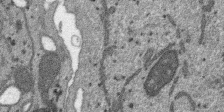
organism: Human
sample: Lung epithelial cells infected with SARS-CoV-2